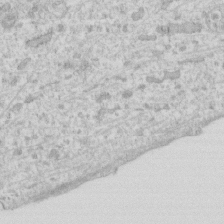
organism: Human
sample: Fibroblast cells